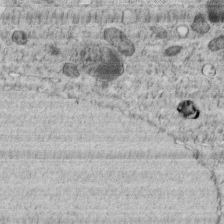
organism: C. elegans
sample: C. elegans embryo early stage